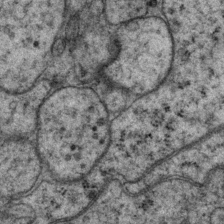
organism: P. pacificus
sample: Pharynx